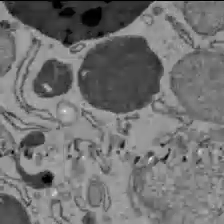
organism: C57BL Mouse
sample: Liver